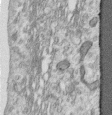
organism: Human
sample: Centriole in RPE cells